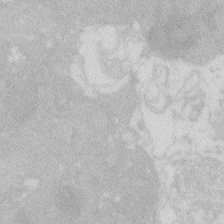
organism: Zebrafish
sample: Macrophage